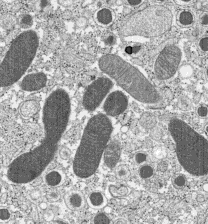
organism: C57BL Mouse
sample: Pancreatic islet